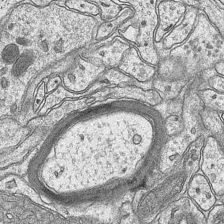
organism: Mouse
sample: CA1 Hippocampus